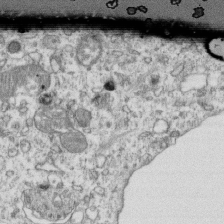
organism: Mouse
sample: Activated OT-1 CD8+ T cells